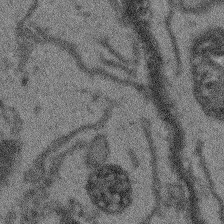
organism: Arabidopsis thaliana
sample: Root tip